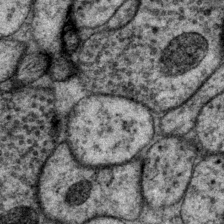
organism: P. pacificus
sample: Pharynx